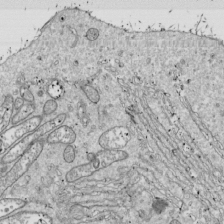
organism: Drosophila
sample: Cell division; meiosis; drosophila spermatocytes